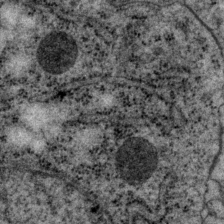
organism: P. pacificus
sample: Pharynx